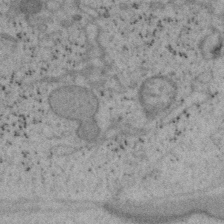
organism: Human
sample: HeLa cells